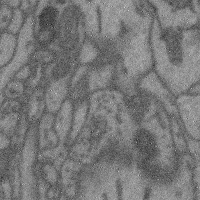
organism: Mouse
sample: Cerebral cortex